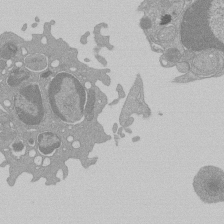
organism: Mouse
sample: Activated Pmel transgenic CD8+ T Cells